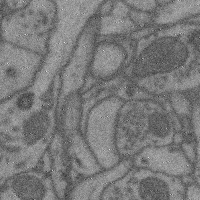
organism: Mouse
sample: Cerebral cortex